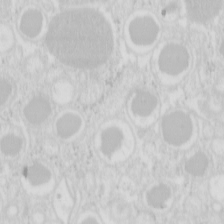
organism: Mouse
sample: Pancreas